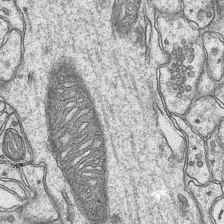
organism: Mouse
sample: CA1 Hippocampus